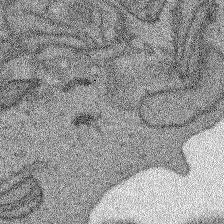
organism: Human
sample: HeLa cells